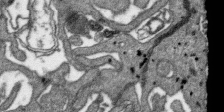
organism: Human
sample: Lung epithelial cells, uninfected (mock) control